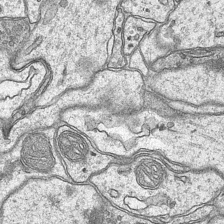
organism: Mouse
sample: CA1 Hippocampus